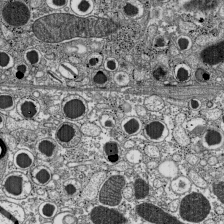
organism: C57BL Mouse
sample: Pancreatic islet